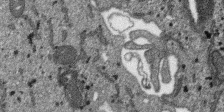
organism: Human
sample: Lung epithelial cells infected with SARS-CoV-2